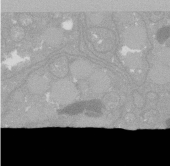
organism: C. elegans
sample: C. elegans oocyte; sperm cells